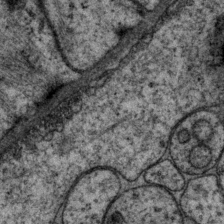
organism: P. pacificus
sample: Pharynx